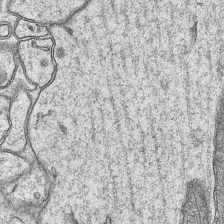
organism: Mouse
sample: CA1 Hippocampus